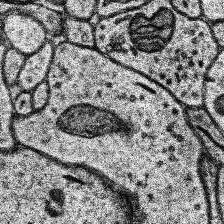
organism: Human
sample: Temporal Lobe